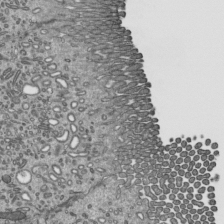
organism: Mouse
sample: Mouse epididymis efferent ductule cilia